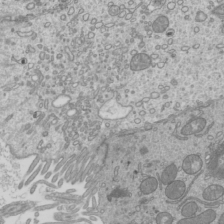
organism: Mouse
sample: Cilia; mouse epididymis